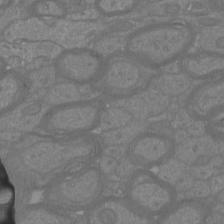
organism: Mouse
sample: Cortical neurons